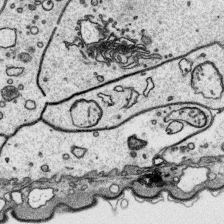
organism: Platynereis dumerilii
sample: Parapodia